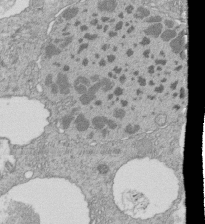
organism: Tetrahymena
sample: Cilia in tetrahymena